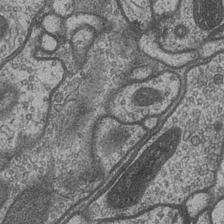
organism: Drosophila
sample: Optic medulla